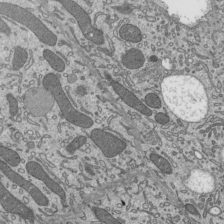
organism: Mouse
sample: Mouse epididymis efferent ductule cilia